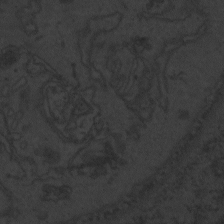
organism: Zebrafish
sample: Macrophage infected with Toxoplasma gondii